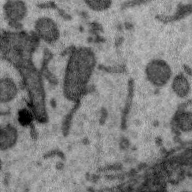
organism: Zebra finch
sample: Brain